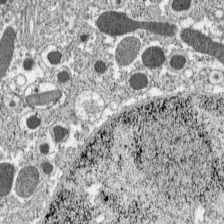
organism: C57BL Mouse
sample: Pancreatic islet